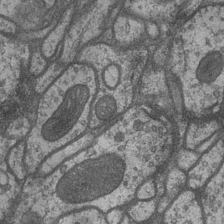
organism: Drosophila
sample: Optic medulla